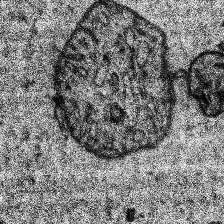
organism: Human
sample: Temporal Lobe